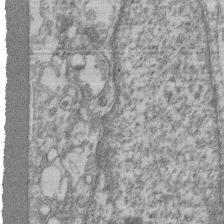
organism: Mouse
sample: T cell stromal cell synapse